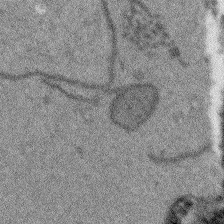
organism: Arabidopsis thaliana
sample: Root tip